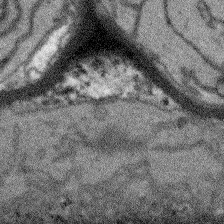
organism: Arabidopsis thaliana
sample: Root tip